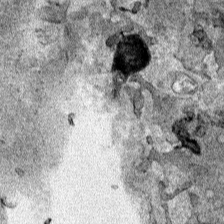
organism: Human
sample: Mitochondria in HCT116 cells